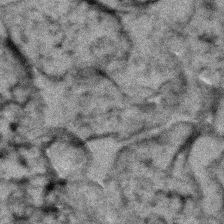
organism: Zebrafish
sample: Zebrafish embryo